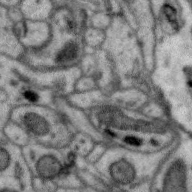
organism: Zebra finch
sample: Brain